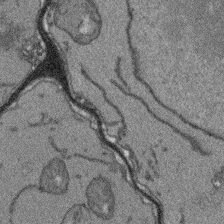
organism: Arabidopsis thaliana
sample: Root tip